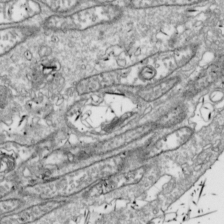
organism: Drosophila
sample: Cell division; meiosis; drosophila spermatocytes